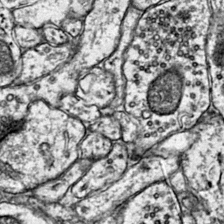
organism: Mouse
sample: Primary visual cortex